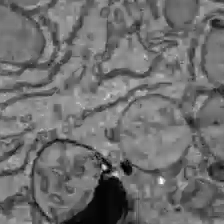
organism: C57BL Mouse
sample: Liver